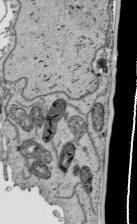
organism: Human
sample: Mitochondria in HCT116 cells